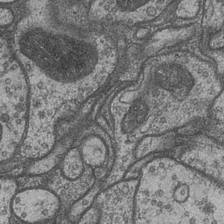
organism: Drosophila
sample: Optic medulla